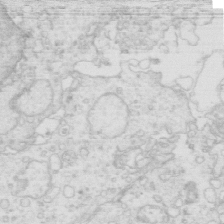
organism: Mouse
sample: Multiciliated cells